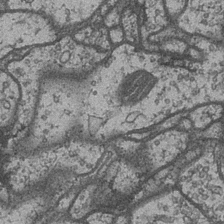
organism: Drosophila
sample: Optic medulla